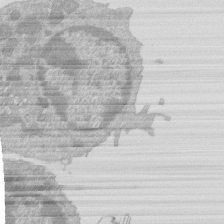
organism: Mouse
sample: Activated Pmel transgenic CD8+ T Cells